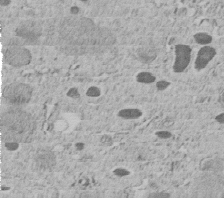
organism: C. elegans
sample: C. elegans embryo early stage